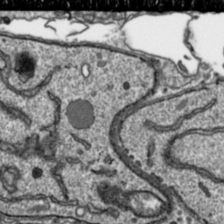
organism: Toxoplasma gondii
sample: Parasites in a vacuole inside a host cell